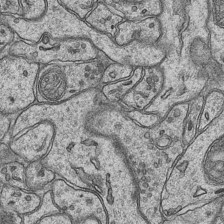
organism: Mouse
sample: CA1 Hippocampus